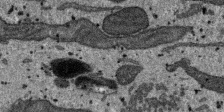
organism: Human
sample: Lung epithelial cells, uninfected (mock) control